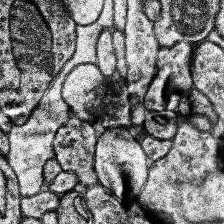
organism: Human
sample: Temporal Lobe